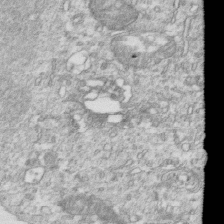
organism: Mouse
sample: Activated OT-1 CD8+ T cells